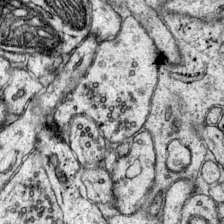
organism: Mouse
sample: Primary visual cortex